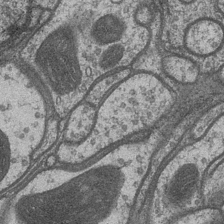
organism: Drosophila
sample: Optic medulla